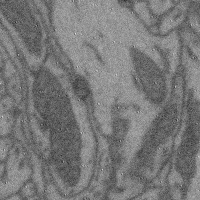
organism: Mouse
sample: Cerebral cortex